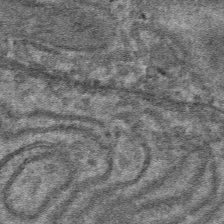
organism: Mouse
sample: Mouse hepatocytes